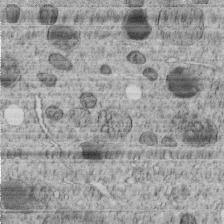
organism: C. elegans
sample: C. elegans embryo early stage